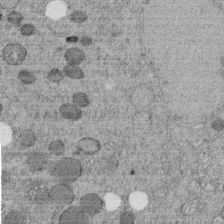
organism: C. elegans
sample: C. elegans embryo early stage